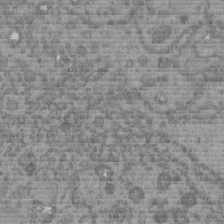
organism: C. elegans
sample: C. elegans embryo early stage